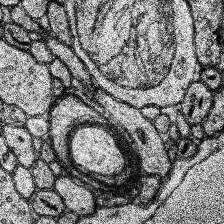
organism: Human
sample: Temporal Lobe